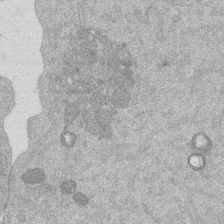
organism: Mouse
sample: Dividing mouse embryo 1 cell stage